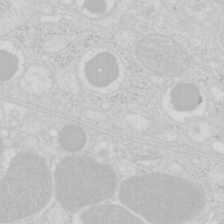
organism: Mouse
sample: Pancreas